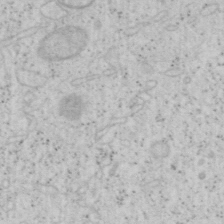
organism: Human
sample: HeLa cells